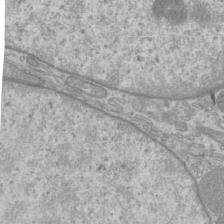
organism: Mouse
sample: Cilia; mouse epididymis